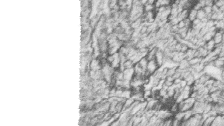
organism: Zebrafish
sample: synaptic ribbons in rod cells and cone cells